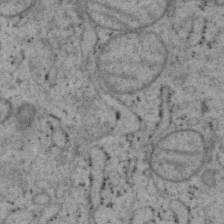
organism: Human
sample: HeLa cells